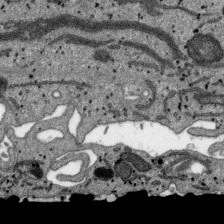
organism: Human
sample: Lung epithelial cells, uninfected (mock) control